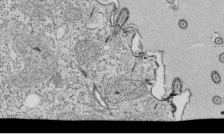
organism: Tetrahymena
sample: Cilia in tetrahymena